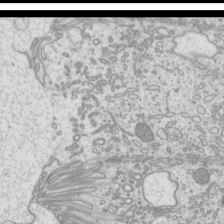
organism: Mouse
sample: Cilia; mouse epididymis